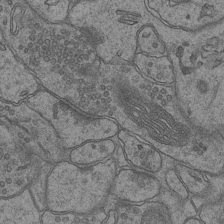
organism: Mouse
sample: CA1 Hippocampus